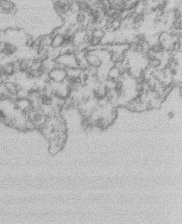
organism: Mouse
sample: T cell stromal cell synapse